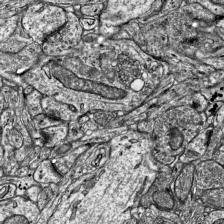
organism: Mouse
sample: Visual Cortex